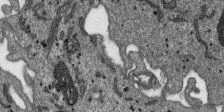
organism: Human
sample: Lung epithelial cells infected with SARS-CoV-2